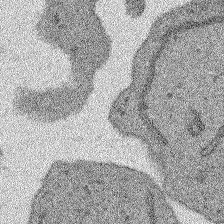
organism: Human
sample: HeLa cells